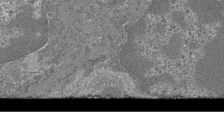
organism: Mouse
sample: Glomerulus